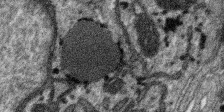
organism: Human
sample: Lung epithelial cells infected with SARS-CoV-2